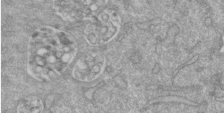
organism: Mouse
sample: ED-1 cell nuclei; centrioles